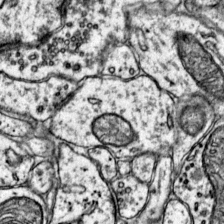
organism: Mouse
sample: Primary visual cortex